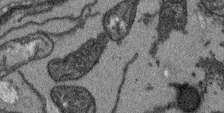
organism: Arabidopsis thaliana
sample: Root tip